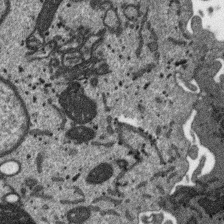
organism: Human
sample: Lung epithelial cells infected with SARS-CoV-2